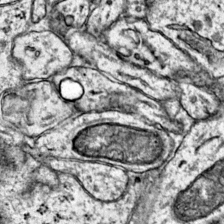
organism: Mouse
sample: Primary visual cortex